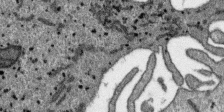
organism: Human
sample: Lung epithelial cells, uninfected (mock) control